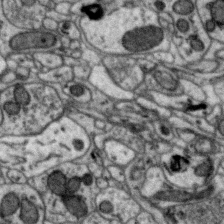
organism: Zebra finch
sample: Brain